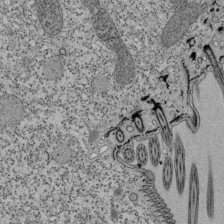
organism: Tetrahymena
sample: Cilia in tetrahymena